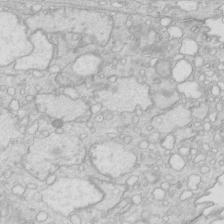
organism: Mouse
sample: Multiciliated cells